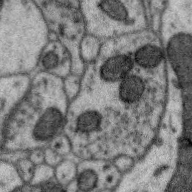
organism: Zebra finch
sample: Brain